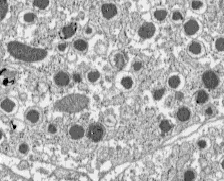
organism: C57BL Mouse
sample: Pancreatic islet